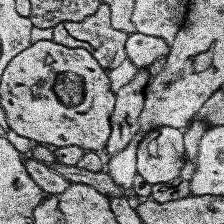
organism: Human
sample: Temporal Lobe